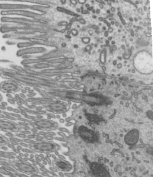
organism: Mouse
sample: Mouse epididymis efferent ductule cilia